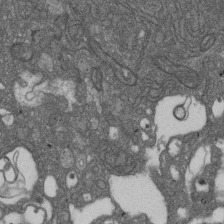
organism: Drosophila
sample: Nephrocyte